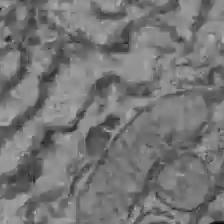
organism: C57BL Mouse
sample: Liver